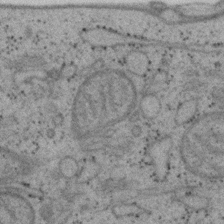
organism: Human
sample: HeLa cells